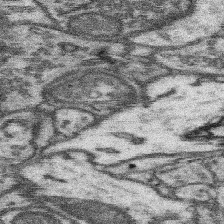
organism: Mouse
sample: Somatosensory cortex neuropil